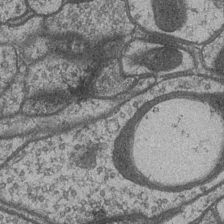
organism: Drosophila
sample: Optic medulla